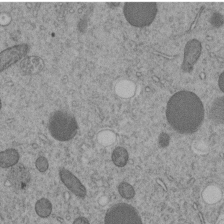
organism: C. elegans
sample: C. elegans embryo early stage